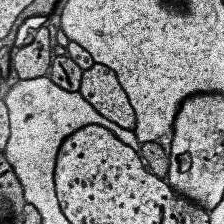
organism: Human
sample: Temporal Lobe